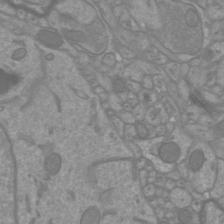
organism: Mouse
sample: Cortical neurons